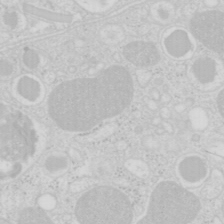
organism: Mouse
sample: Pancreas